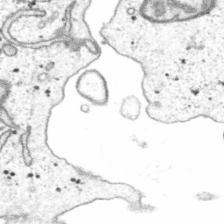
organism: Human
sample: HeLa cells